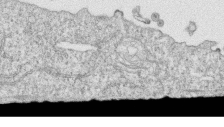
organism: Human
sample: HeLa cell HIV synapse